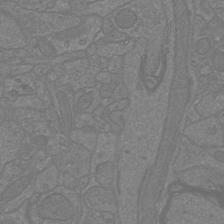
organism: Mouse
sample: Cortical neurons